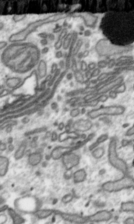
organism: Toxoplasma gondii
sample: Parasites in a vacuole inside a host cell